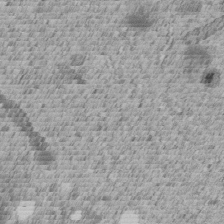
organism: C. elegans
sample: C. elegans embryo early stage